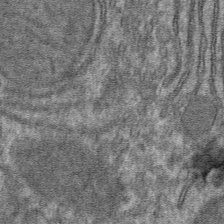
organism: Mouse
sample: Mouse hepatocytes